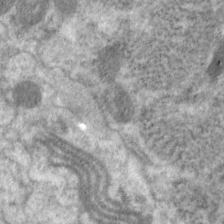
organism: C. elegans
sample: Pharynx